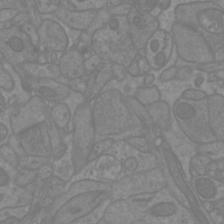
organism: Mouse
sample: Cortical neurons